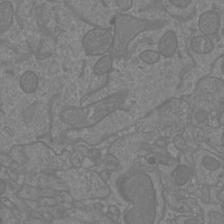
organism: Mouse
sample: Cortical neurons